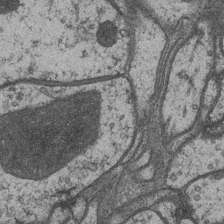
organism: Drosophila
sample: Optic medulla